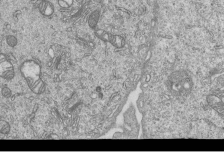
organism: Human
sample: MDA-MB-231 cells